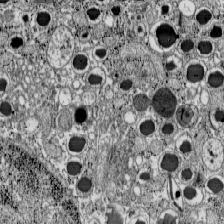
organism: C57BL Mouse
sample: Pancreatic islet